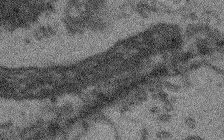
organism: Arabidopsis thaliana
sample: Root tip